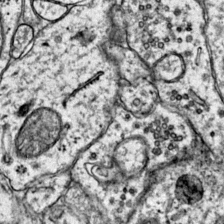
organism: Mouse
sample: Primary visual cortex